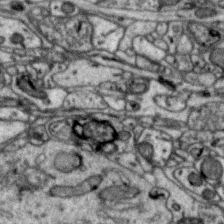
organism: Zebra finch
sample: Brain